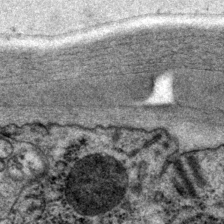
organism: P. pacificus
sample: Pharynx